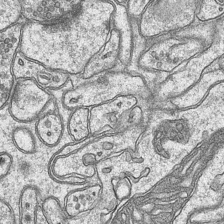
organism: Mouse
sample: CA1 Hippocampus